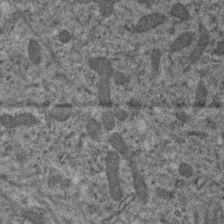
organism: Human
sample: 1205lu cells